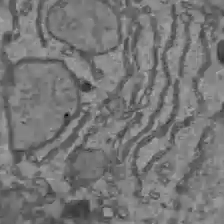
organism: C57BL Mouse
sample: Liver